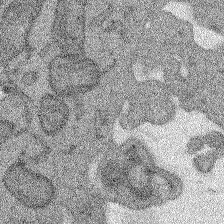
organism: Human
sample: HeLa cells